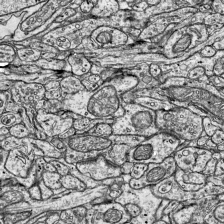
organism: Mouse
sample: Visual Cortex